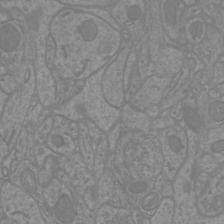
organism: Mouse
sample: Cortical neurons